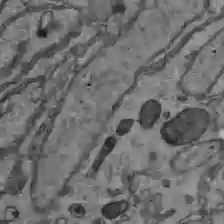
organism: C57BL Mouse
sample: Liver